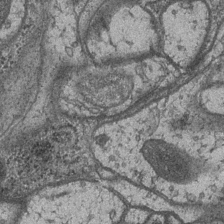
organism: Drosophila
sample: Optic medulla